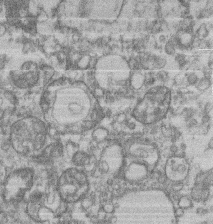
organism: Mouse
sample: T cell stromal cell synapse